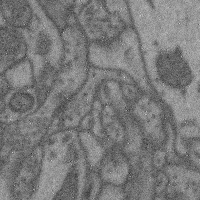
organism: Mouse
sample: Cerebral cortex